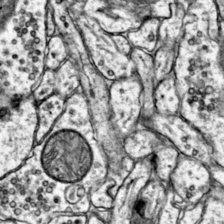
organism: Mouse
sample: Primary visual cortex